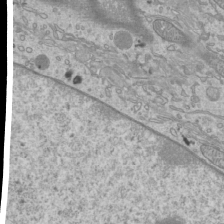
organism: Mouse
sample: Cilia; mouse epididymis